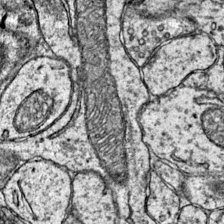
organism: Mouse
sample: Primary visual cortex